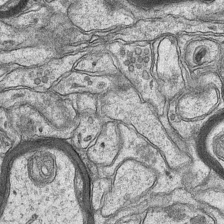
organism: Mouse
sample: CA1 Hippocampus